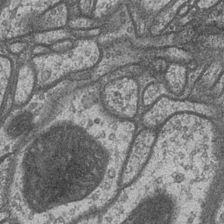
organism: Drosophila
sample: Optic medulla